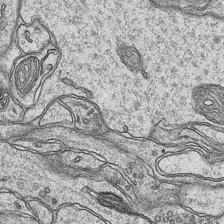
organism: Mouse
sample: CA1 Hippocampus